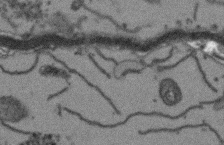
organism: Arabidopsis thaliana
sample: Root tip